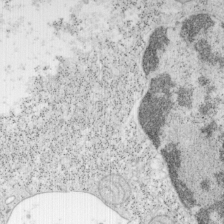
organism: Mouse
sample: OT-I killer T cells with ID8 ovarian cancer cells